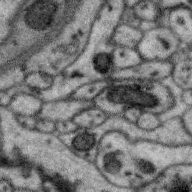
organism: Zebra finch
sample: Brain